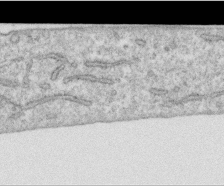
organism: Human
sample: Centriole in RPE cells